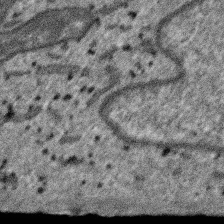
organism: Human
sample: Lung epithelial cells infected with SARS-CoV-2